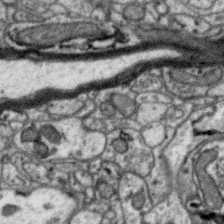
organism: Zebra finch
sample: Brain